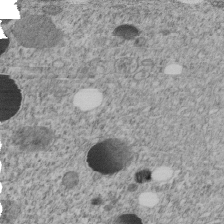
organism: C. elegans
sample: C. elegans embryo early stage